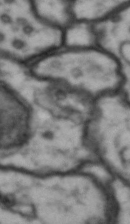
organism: Drosophila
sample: Brain